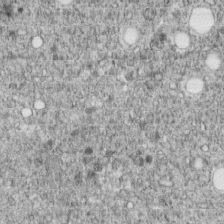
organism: C. elegans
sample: C. elegans embryo early stage